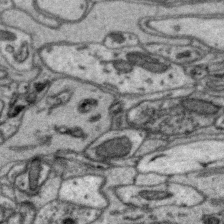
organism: Zebra finch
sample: Brain